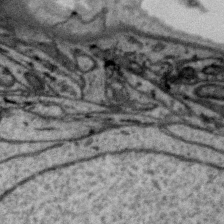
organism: Zebra finch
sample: Brain